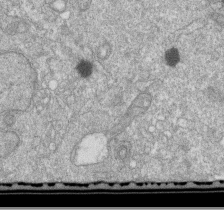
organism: Human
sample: HeLa cell HIV synapse